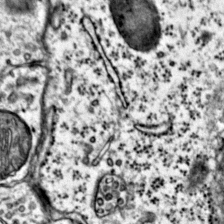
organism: Mouse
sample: Primary visual cortex